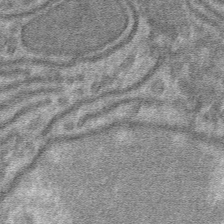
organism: Mouse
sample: Mouse hepatocytes